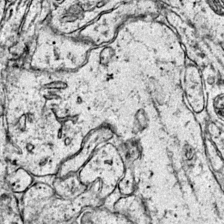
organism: Mouse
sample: Primary visual cortex